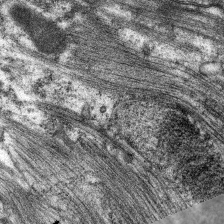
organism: C. elegans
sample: Pharynx